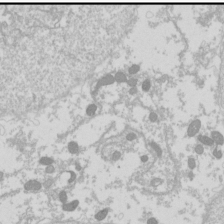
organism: Drosophila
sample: Cell division; meiosis; drosophila spermatocytes